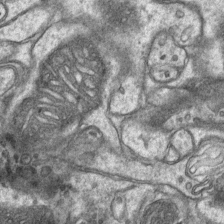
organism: Mouse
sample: CA1 Hippocampus